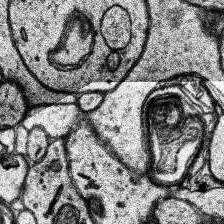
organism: Human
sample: Temporal Lobe